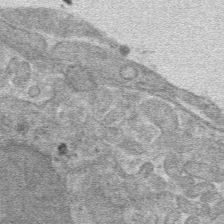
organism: Mouse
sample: Mouse hepatocytes